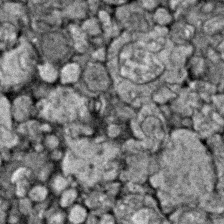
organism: Zebrafish